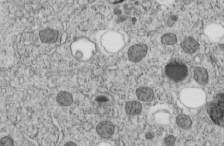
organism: C. elegans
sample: C. elegans embryo early stage